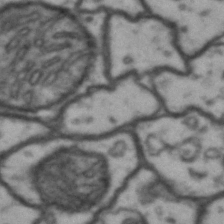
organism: Drosophila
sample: Brain